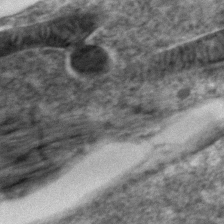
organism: Zebrafish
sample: Zebrafish embryo